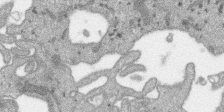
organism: Human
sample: Lung epithelial cells infected with SARS-CoV-2